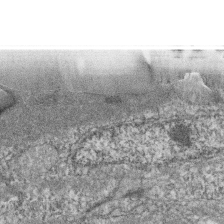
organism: Zebrafish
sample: Cilia; retinal pigment epithelium